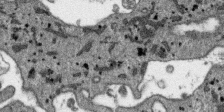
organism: Human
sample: Lung epithelial cells, uninfected (mock) control